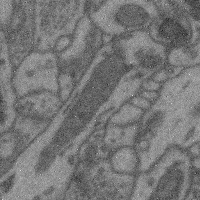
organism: Mouse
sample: Cerebral cortex